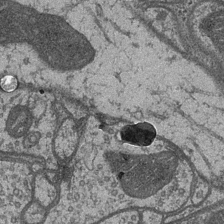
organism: Drosophila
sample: Optic medulla